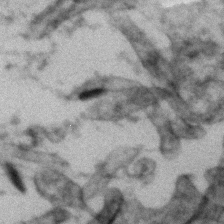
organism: Zebrafish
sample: Zebrafish embryo